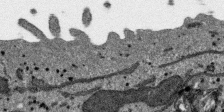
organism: Human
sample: Lung epithelial cells, uninfected (mock) control